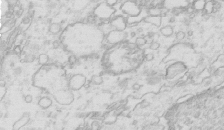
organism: Mouse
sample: Multiciliated cells